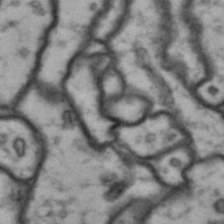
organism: Drosophila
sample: Brain